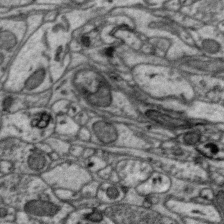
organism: Zebra finch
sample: Brain